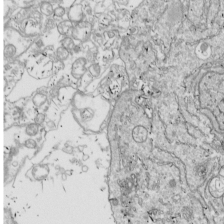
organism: Drosophila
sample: Cell division; meiosis; drosophila spermatocytes